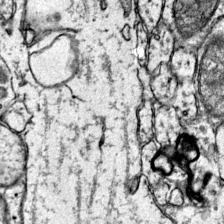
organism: Mouse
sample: Primary visual cortex